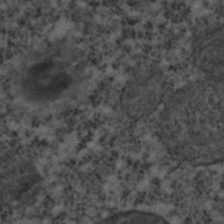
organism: C. elegans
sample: C. elegans embryo